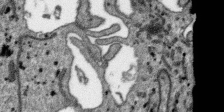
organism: Human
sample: Lung epithelial cells, uninfected (mock) control